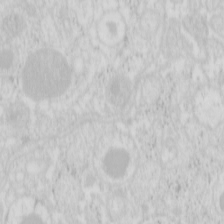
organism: Mouse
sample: Pancreas